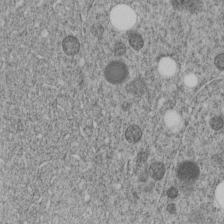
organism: C. elegans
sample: C. elegans embryo early stage